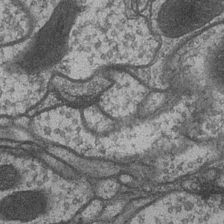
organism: Drosophila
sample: Optic medulla